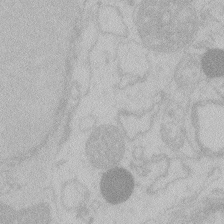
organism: Zebrafish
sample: Macrophage infected with Toxoplasma gondii